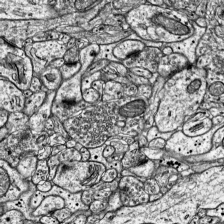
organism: Mouse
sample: Visual Cortex